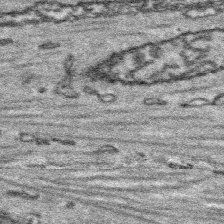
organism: Platynereis dumerilii